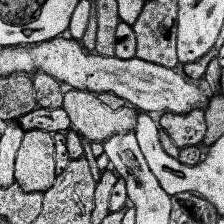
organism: Human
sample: Temporal Lobe